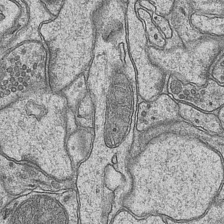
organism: Mouse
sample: CA1 Hippocampus